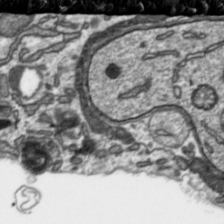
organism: Toxoplasma gondii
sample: Parasites in a vacuole inside a host cell